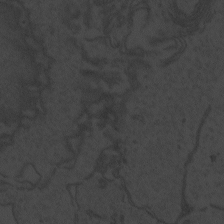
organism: Zebrafish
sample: Macrophage infected with Toxoplasma gondii